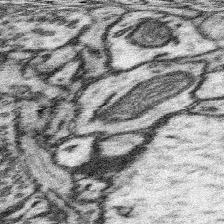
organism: Mouse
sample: Somatosensory cortex neuropil